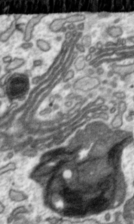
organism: Toxoplasma gondii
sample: Parasites in a vacuole inside a host cell